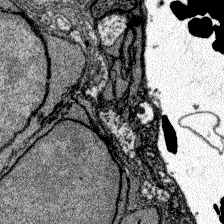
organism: Zebrafish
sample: Larval olfactory bulb